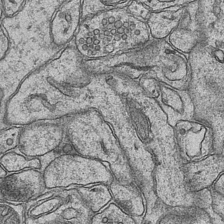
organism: Mouse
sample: CA1 Hippocampus